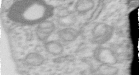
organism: Human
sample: Centriole in RPE cells